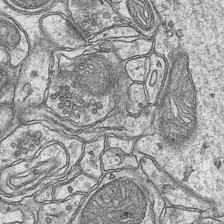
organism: Mouse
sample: CA1 Hippocampus